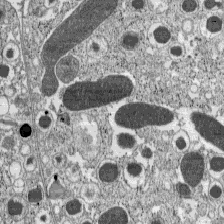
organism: C57BL Mouse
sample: Pancreatic islet